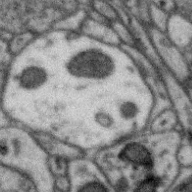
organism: Zebra finch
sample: Brain